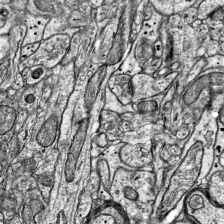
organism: Mouse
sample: Visual Cortex